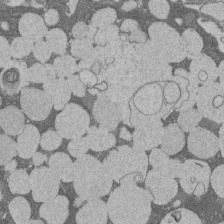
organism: Rat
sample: Salivary granule